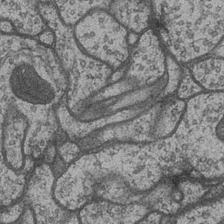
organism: Drosophila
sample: Optic medulla